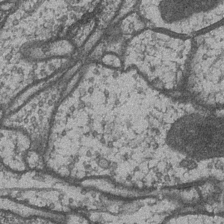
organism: Drosophila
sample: Optic medulla